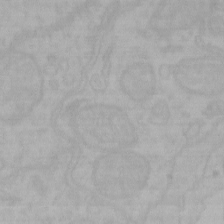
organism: Mouse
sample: Choroid plexus